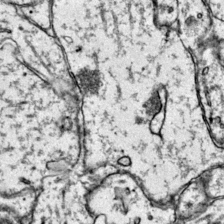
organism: Mouse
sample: Primary visual cortex